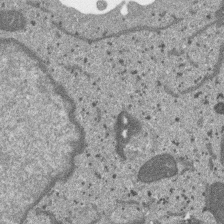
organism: Human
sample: Lung epithelial cells infected with SARS-CoV-2